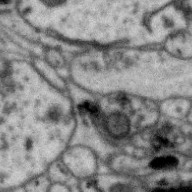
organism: Zebra finch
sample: Brain